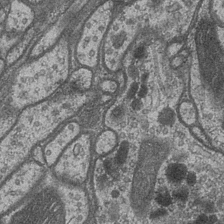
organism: Drosophila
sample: Optic medulla